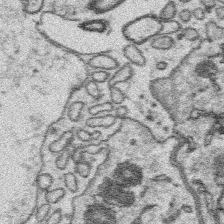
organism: Platynereis dumerilii